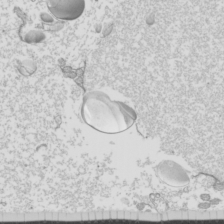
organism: Mouse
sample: Cilia; mouse epididymis